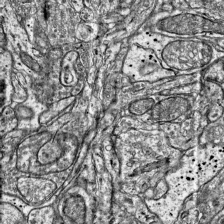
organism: Mouse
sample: Visual Cortex